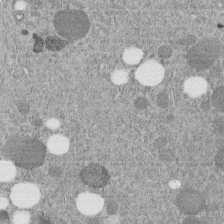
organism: C. elegans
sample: C. elegans embryo early stage